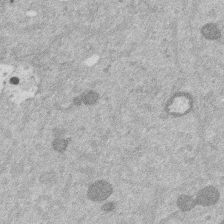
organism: Mouse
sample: Dividing mouse embryo 1 cell stage